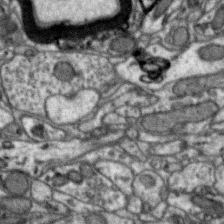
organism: Zebra finch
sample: Brain